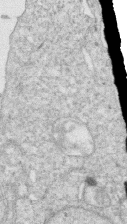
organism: Human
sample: HeLa cell HIV synapse